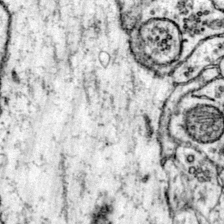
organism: Mouse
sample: Primary visual cortex